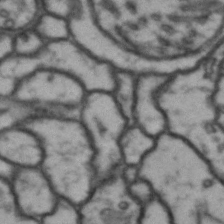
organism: Drosophila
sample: Brain